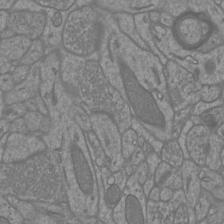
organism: Mouse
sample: Cortical neurons